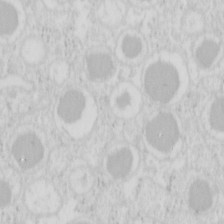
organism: Mouse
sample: Pancreas